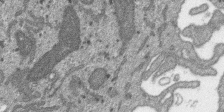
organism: Human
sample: Lung epithelial cells infected with SARS-CoV-2